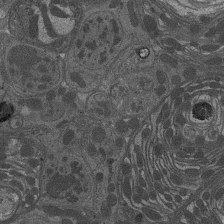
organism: Drosophila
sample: Antenna